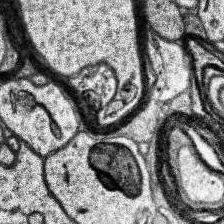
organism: Human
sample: Temporal Lobe